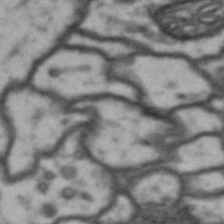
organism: Drosophila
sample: Brain